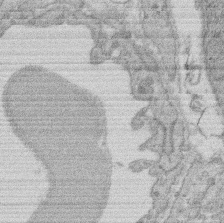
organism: Rat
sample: Salivary granule